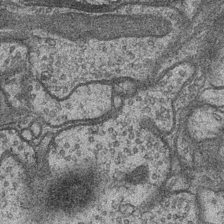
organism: Drosophila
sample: Optic medulla